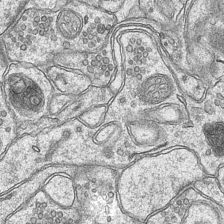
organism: Mouse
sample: CA1 Hippocampus